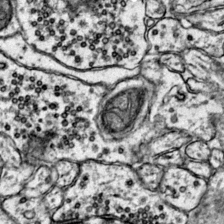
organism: Mouse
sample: Primary visual cortex